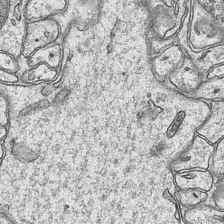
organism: Mouse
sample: CA1 Hippocampus